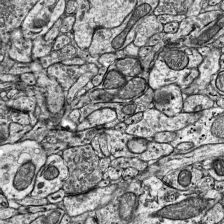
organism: Mouse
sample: Visual Cortex